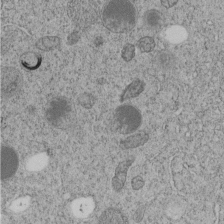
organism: C. elegans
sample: C. elegans embryo early stage